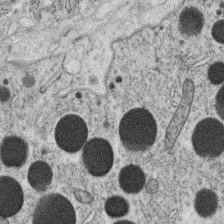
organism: C. elegans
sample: C. elegans oocyte; sperm cells